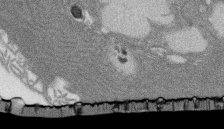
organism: Rat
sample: Salivary granule